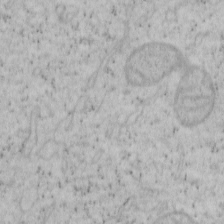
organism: Human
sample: HeLa cells